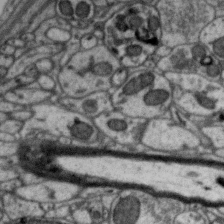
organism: Zebra finch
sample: Brain